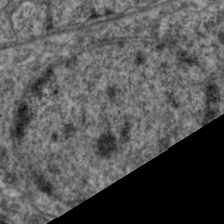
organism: C. elegans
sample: Pharynx